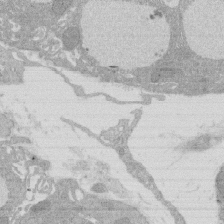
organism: Rat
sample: Salivary granule